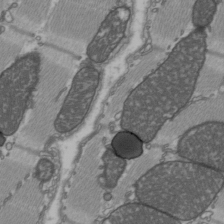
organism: C57BL Mouse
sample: Heart